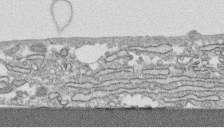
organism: Human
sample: CRL-1474